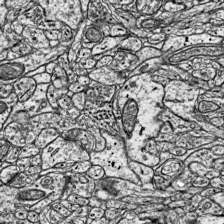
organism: Mouse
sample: Visual Cortex